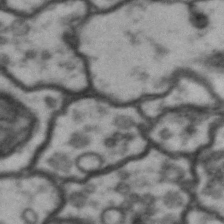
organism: Drosophila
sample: Brain